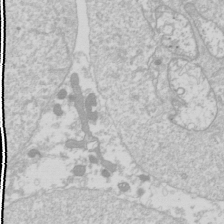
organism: Drosophila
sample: Cell division; meiosis; drosophila spermatocytes